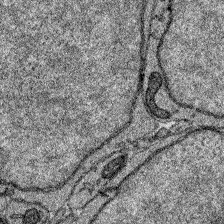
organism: Zebrafish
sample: Larval olfactory bulb